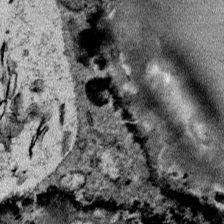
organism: Mouse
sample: Mouse Salivary gland